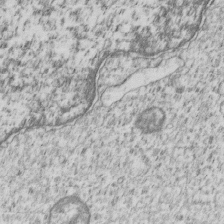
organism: Human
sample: MDA-MB-231 cells